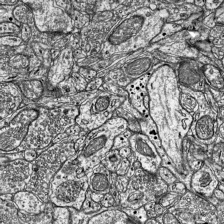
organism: Mouse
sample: Visual Cortex